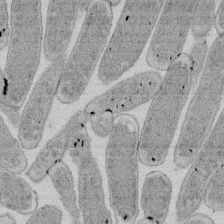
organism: E. coli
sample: Bacterial nucleoid